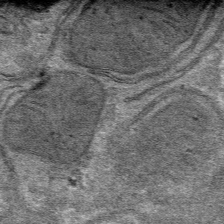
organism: Mouse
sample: Mouse hepatocytes